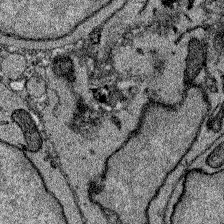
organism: Zebrafish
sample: Larval olfactory bulb